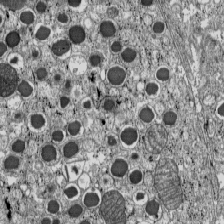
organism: C57BL Mouse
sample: Pancreatic islet